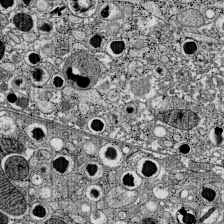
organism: C57BL Mouse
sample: Pancreatic islet